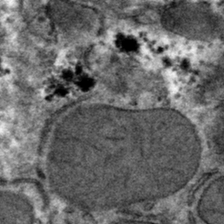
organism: Mouse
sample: Mouse hepatocytes